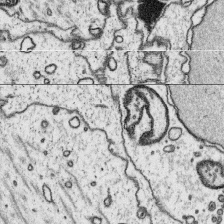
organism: Platynereis dumerilii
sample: Parapodia